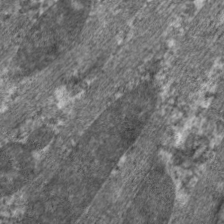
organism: C. elegans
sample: Pharynx